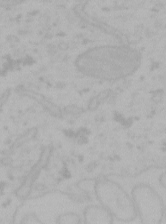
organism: Mouse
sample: Choroid plexus